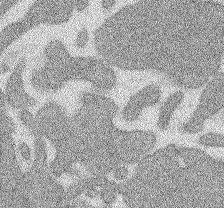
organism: Human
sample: HeLa cells